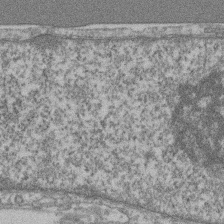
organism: Mouse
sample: T cell stromal cell synapse